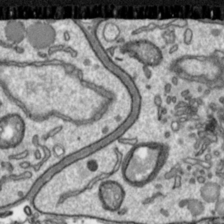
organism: Toxoplasma gondii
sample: Parasites in a vacuole inside a host cell